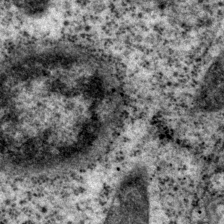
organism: P. pacificus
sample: Pharynx